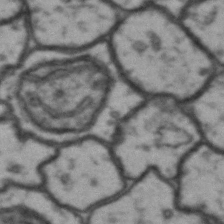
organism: Drosophila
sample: Brain